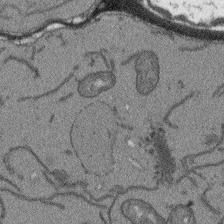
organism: Arabidopsis thaliana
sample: Root tip